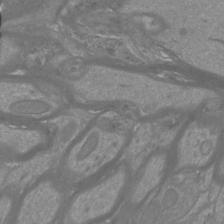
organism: Mouse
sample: Cortical neurons